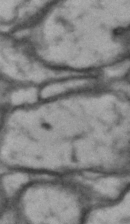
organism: Drosophila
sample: Brain